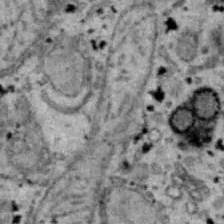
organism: Mouse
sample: Liver from an obese (ob/ob) mouse